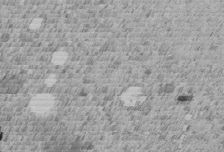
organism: C. elegans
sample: C. elegans embryo early stage